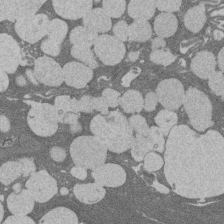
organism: Rat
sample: Salivary granule